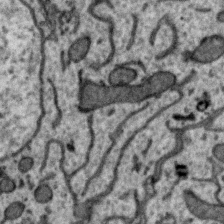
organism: Zebra finch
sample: Brain